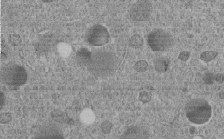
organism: C. elegans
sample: C. elegans embryo early stage